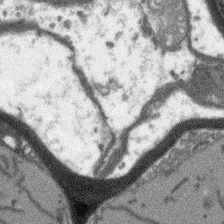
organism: Arabidopsis thaliana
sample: Root tip